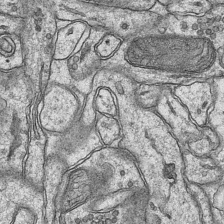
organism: Mouse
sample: CA1 Hippocampus